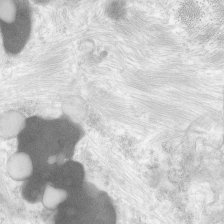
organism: Human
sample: Neocortex